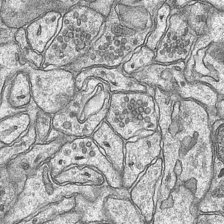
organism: Mouse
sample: CA1 Hippocampus